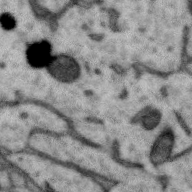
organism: Zebra finch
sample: Brain